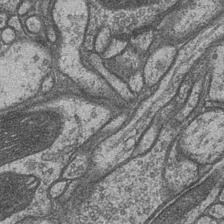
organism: Drosophila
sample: Optic medulla